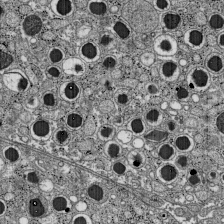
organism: C57BL Mouse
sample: Pancreatic islet